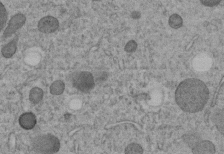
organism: C. elegans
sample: C. elegans embryo early stage